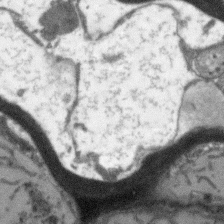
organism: Arabidopsis thaliana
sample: Root tip